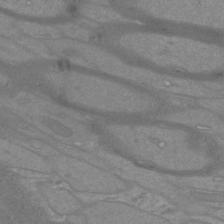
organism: Mouse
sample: Cortical neurons